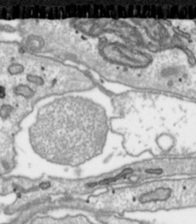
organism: Toxoplasma gondii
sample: Parasites in a vacuole inside a host cell